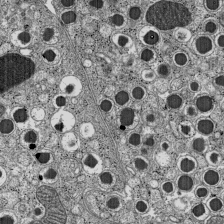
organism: C57BL Mouse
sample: Pancreatic islet